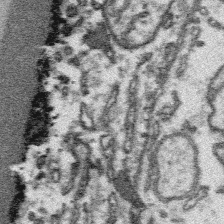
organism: Platynereis dumerilii